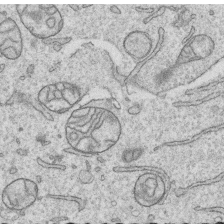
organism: Human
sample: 1205lu cells